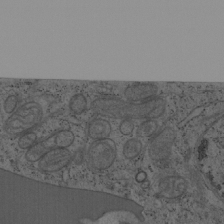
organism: Human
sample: HeLa cells